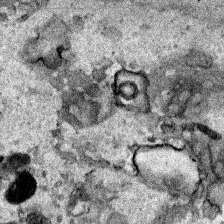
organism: Human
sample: Mitochondria in HCT116 cells